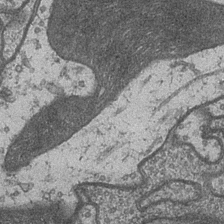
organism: Drosophila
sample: Optic medulla